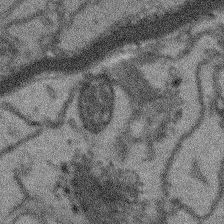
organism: Arabidopsis thaliana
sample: Root tip